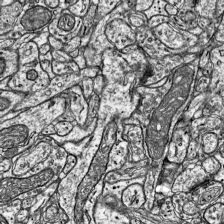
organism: Mouse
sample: Visual Cortex